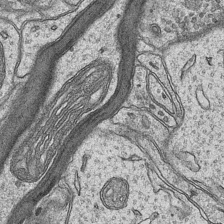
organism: Mouse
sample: CA1 Hippocampus